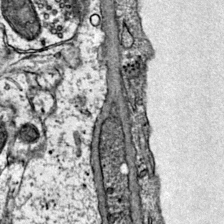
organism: Mouse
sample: Primary visual cortex